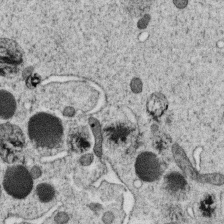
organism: C. elegans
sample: C. elegans oocyte; sperm cells